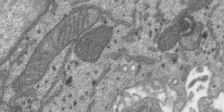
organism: Human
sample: Lung epithelial cells infected with SARS-CoV-2